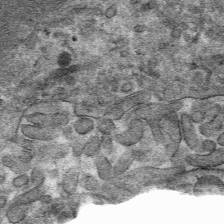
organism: Mouse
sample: Mouse hepatocytes